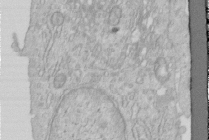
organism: Human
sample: Centriole in RPE cells